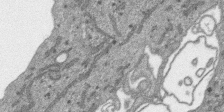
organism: Human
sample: Lung epithelial cells infected with SARS-CoV-2